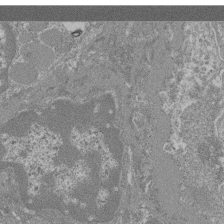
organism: Mouse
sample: Glomerulus